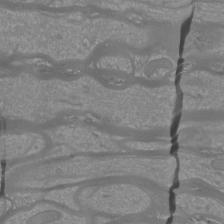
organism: Mouse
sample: Cortical neurons